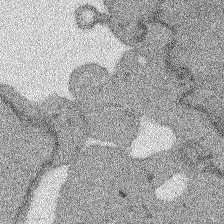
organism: Human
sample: HeLa cells